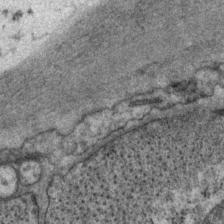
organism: P. pacificus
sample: Pharynx